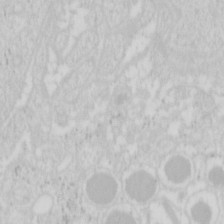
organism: Mouse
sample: Pancreas